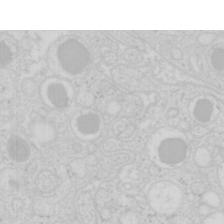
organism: Mouse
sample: Pancreas